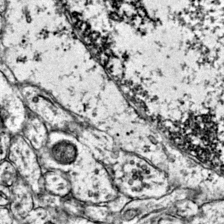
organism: Mouse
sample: Primary visual cortex